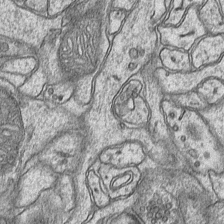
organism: Mouse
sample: CA1 Hippocampus